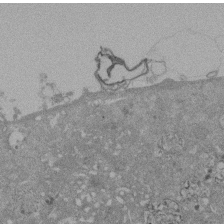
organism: Mouse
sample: ED-1 cell nuclei; centrioles